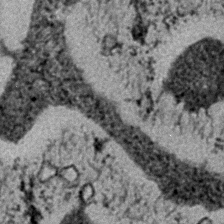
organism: C. elegans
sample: C. elegans embryo